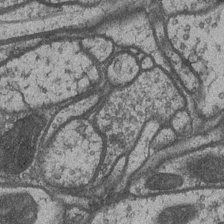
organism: Drosophila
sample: Optic medulla